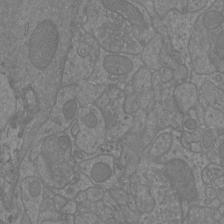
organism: Mouse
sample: Cortical neurons